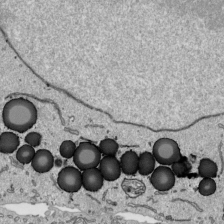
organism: Human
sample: Mitochondria in HCT116 cells